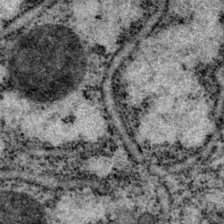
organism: P. pacificus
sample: Pharynx